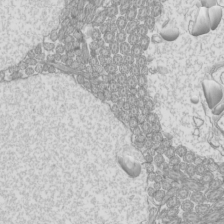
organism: Mouse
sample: Cilia; mouse epididymis